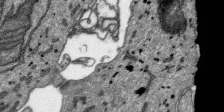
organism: Human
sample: Lung epithelial cells, uninfected (mock) control